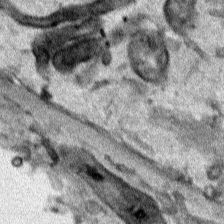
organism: Human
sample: Mitochondria in HCT116 cells